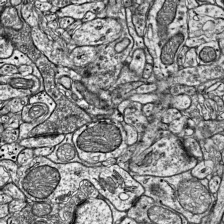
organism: Mouse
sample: Visual Cortex